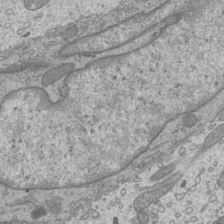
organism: Mouse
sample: Cilia; mouse epididymis